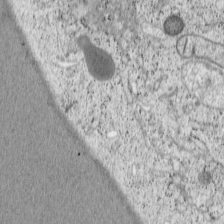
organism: African green monkey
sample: COS-7 cells